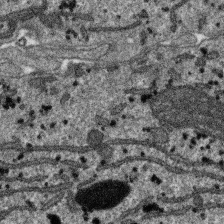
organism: Human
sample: Lung epithelial cells infected with SARS-CoV-2